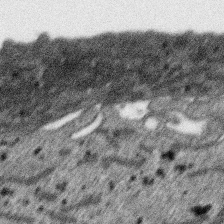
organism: Human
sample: Lung epithelial cells infected with SARS-CoV-2